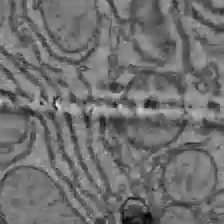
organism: C57BL Mouse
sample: Liver